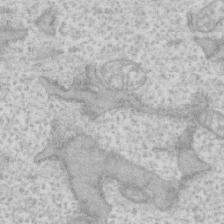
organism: Human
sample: Fibroblast cells